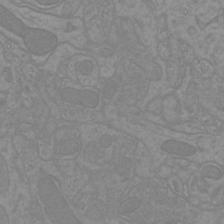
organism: Mouse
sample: Cortical neurons